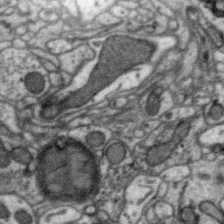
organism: Zebra finch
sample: Brain